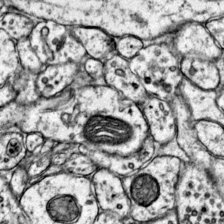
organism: Mouse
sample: Primary visual cortex